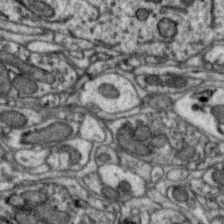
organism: Zebra finch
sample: Brain